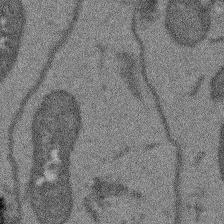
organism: Arabidopsis thaliana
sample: Root tip